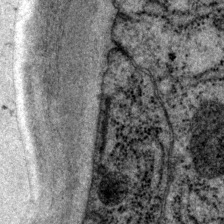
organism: P. pacificus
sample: Pharynx